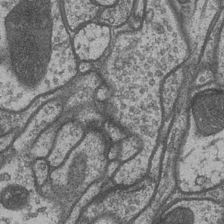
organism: Drosophila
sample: Optic medulla